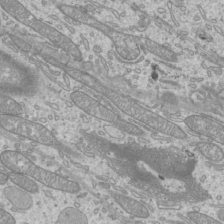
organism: Mouse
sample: Cilia; mouse epididymis